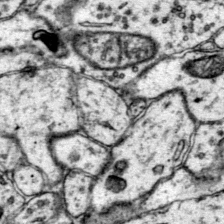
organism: Mouse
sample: Primary visual cortex